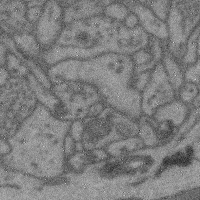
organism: Mouse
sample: Cerebral cortex